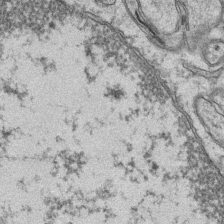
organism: Mouse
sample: CA1 Hippocampus